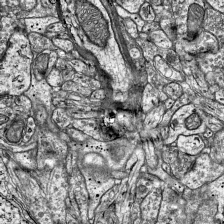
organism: Mouse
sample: Visual Cortex